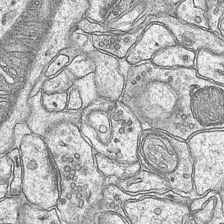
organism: Mouse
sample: CA1 Hippocampus